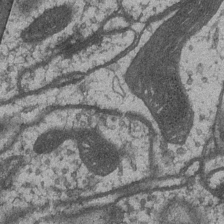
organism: Drosophila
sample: Optic medulla